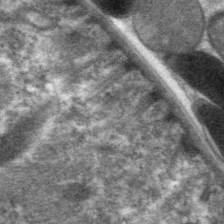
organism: C. elegans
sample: Pharynx